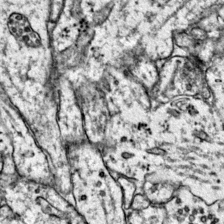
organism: Mouse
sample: Primary visual cortex